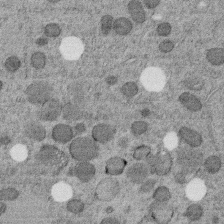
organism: C. elegans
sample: C. elegans embryo early stage